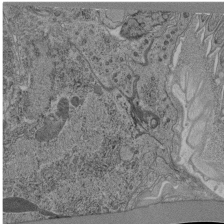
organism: C. elegans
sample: C. elegans pharynx